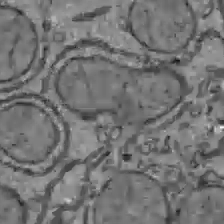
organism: C57BL Mouse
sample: Liver